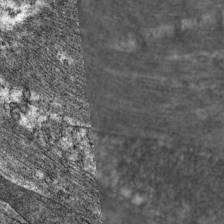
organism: C. elegans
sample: Pharynx